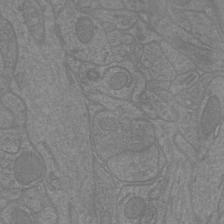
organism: Mouse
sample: Cortical neurons